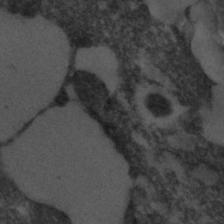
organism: C. elegans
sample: C. elegans embryo